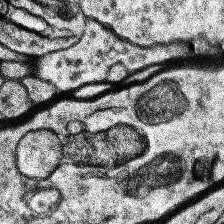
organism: Human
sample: Temporal Lobe